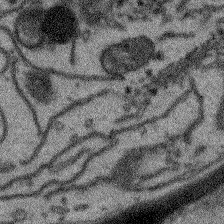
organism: Arabidopsis thaliana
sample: Root tip